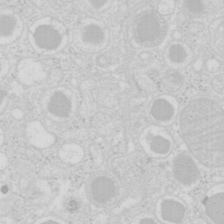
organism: Mouse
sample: Pancreas